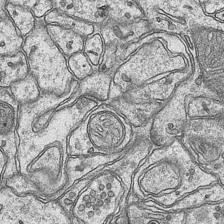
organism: Mouse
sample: CA1 Hippocampus